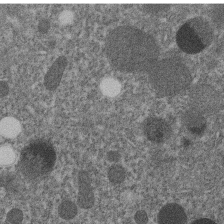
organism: C. elegans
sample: C. elegans embryo early stage